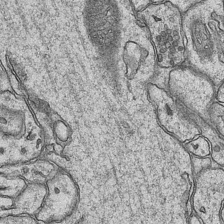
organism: Mouse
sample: CA1 Hippocampus